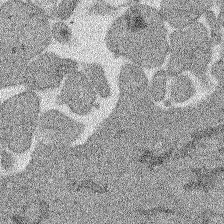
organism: Human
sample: HeLa cells